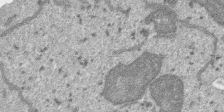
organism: Human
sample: Lung epithelial cells infected with SARS-CoV-2